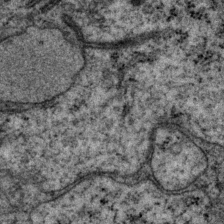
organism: P. pacificus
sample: Pharynx